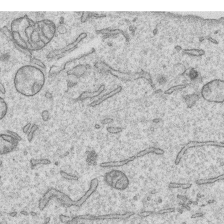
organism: Human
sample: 1205lu cells